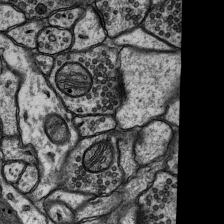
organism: Rat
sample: Hippocampus